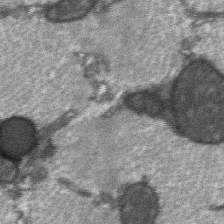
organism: C57BL Mouse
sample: Soleus